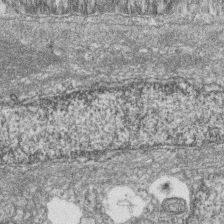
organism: Zebrafish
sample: Cilia; retinal pigment epithelium